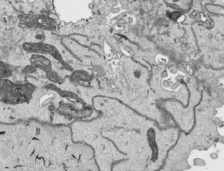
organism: Human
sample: Mitochondria in HCT116 cells